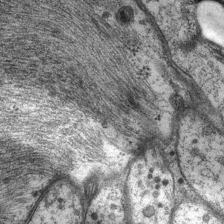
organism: P. pacificus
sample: Pharynx